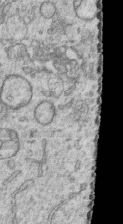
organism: Human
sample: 1205lu cells